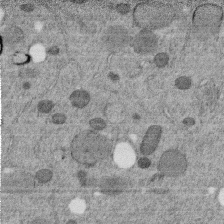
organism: C. elegans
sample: C. elegans embryo early stage